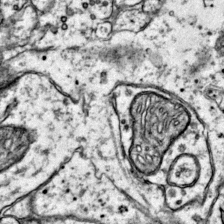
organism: Mouse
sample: Primary visual cortex